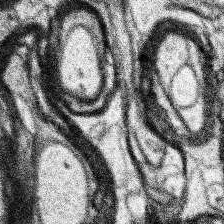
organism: Human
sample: Temporal Lobe